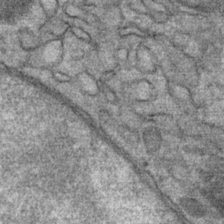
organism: Mouse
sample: Mouse Salivary gland